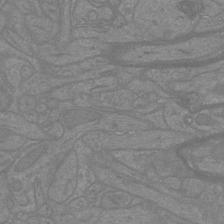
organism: Mouse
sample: Cortical neurons